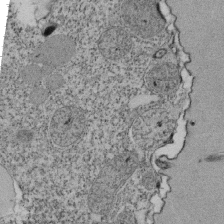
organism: Tetrahymena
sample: Cilia in tetrahymena